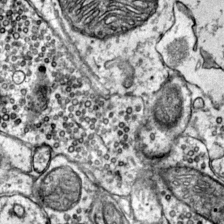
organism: Mouse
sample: Primary visual cortex